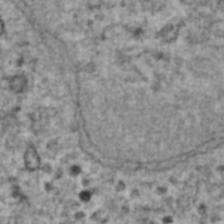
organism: Human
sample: Blood